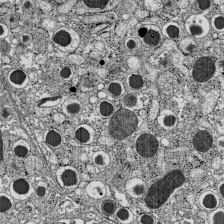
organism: C57BL Mouse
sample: Pancreatic islet